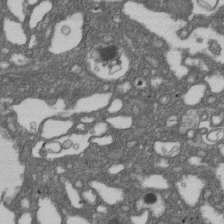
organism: Drosophila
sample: Nephrocyte